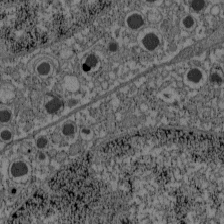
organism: C57BL Mouse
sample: Pancreatic islet